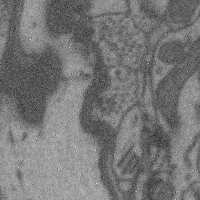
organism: Mouse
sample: Cerebral cortex